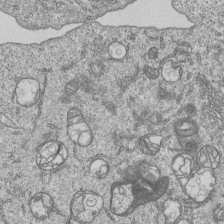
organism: Human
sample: MDA-MB-231 cells